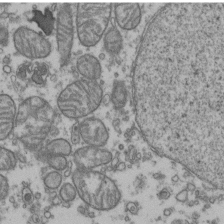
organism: Human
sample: Activated Jurkat CD4+ T cells